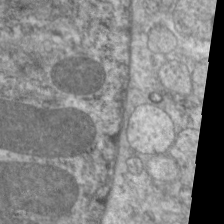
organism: C. elegans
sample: Pharynx